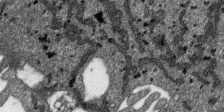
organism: Human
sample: Lung epithelial cells infected with SARS-CoV-2